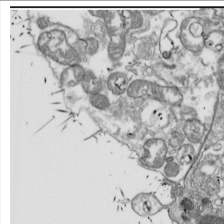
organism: Drosophila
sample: Cell division; meiosis; drosophila spermatocytes